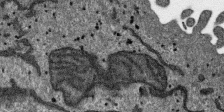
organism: Human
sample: Lung epithelial cells, uninfected (mock) control